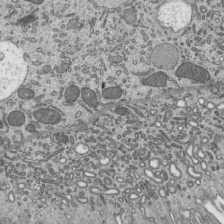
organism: Mouse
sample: Mouse epididymis efferent ductule cilia